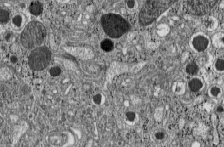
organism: C57BL Mouse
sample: Pancreatic islet